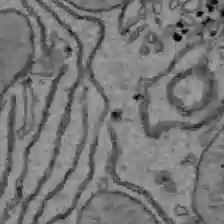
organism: C57BL Mouse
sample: Liver